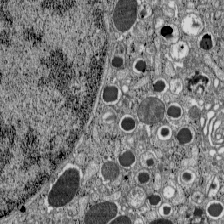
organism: C57BL Mouse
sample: Pancreatic islet